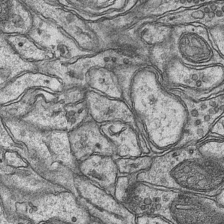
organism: Mouse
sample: CA1 Hippocampus